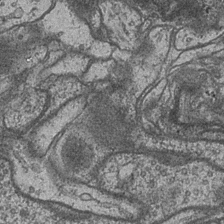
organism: Drosophila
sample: Optic medulla